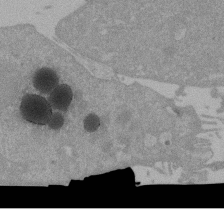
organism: Mouse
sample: ED-1 cell nuclei; centrioles